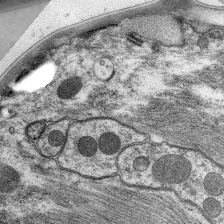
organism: C. elegans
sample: Pharynx